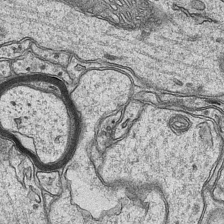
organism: Mouse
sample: CA1 Hippocampus